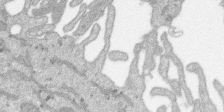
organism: Human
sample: Lung epithelial cells infected with SARS-CoV-2